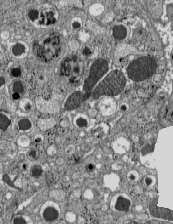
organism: C57BL Mouse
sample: Pancreatic islet